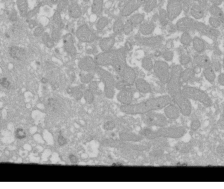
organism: Xenopus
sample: Cilia; centrioles in frog embryo cells